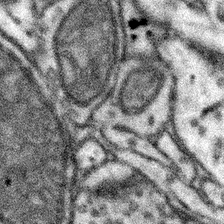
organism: Mouse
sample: Somatosensory cortex neuropil